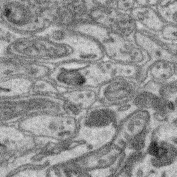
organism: Mouse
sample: Retina